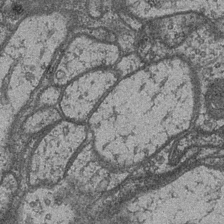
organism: Drosophila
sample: Optic medulla